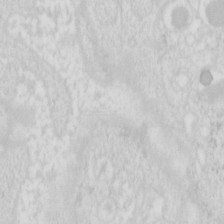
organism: Mouse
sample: Pancreas